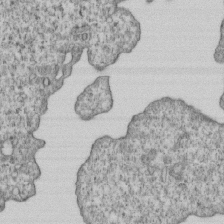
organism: Human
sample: MDA-MB-231 cells